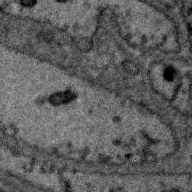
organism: Zebra finch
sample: Brain